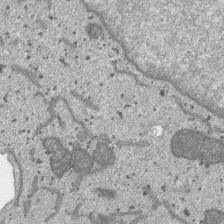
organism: Human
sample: Lung epithelial cells infected with SARS-CoV-2